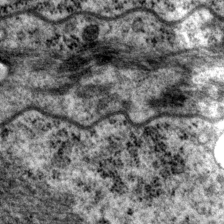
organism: P. pacificus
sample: Pharynx